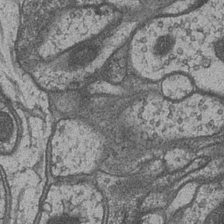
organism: Drosophila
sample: Optic medulla